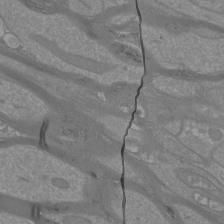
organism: Mouse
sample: Cortical neurons